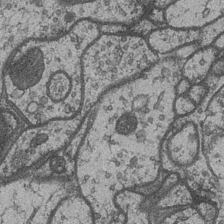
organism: Drosophila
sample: Optic medulla